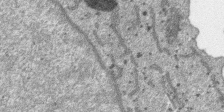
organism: Human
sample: Lung epithelial cells infected with SARS-CoV-2